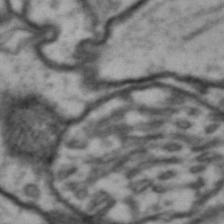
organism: Drosophila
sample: Brain